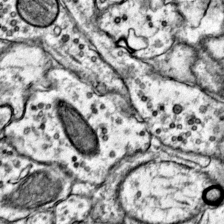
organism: Mouse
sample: Primary visual cortex